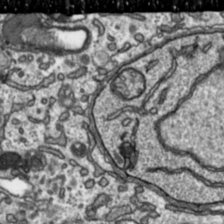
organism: Toxoplasma gondii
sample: Parasites in a vacuole inside a host cell